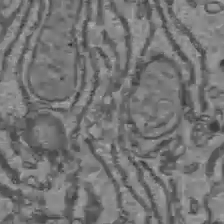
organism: C57BL Mouse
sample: Liver